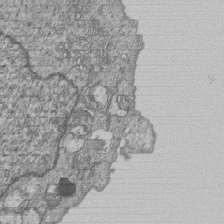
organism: Human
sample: MDA-MB-231 cells